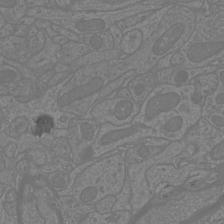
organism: Mouse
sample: Cortical neurons